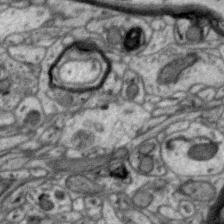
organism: Zebra finch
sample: Brain